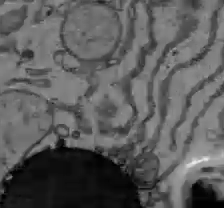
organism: C57BL Mouse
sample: Liver